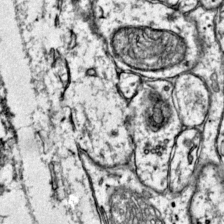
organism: Mouse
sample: Primary visual cortex